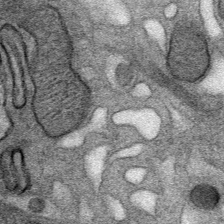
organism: Mouse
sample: Mouse Salivary gland